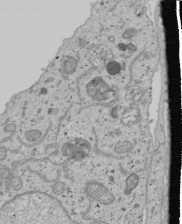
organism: Human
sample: Mitochondria in U2OS cells